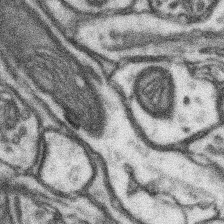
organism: Mouse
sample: Somatosensory cortex neuropil